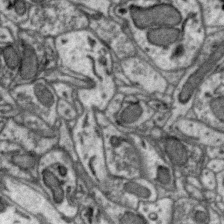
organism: Zebra finch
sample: Brain